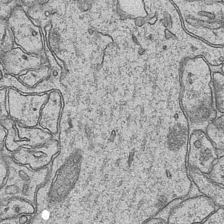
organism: Mouse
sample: CA1 Hippocampus